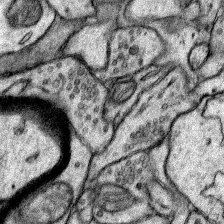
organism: Rat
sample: Hippocampus